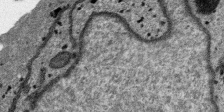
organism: Human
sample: Lung epithelial cells, uninfected (mock) control